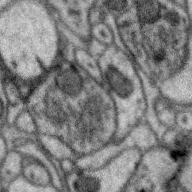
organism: Zebra finch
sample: Brain